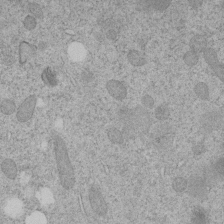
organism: C. elegans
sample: C. elegans embryo early stage